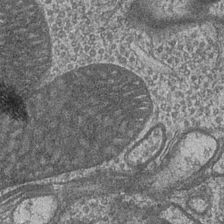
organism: Drosophila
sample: Optic medulla